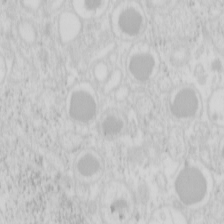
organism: Mouse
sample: Pancreas